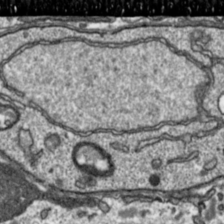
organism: Toxoplasma gondii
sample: Parasites in a vacuole inside a host cell